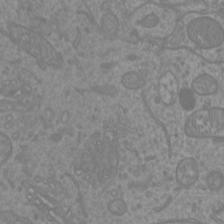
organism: Mouse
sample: Cortical neurons